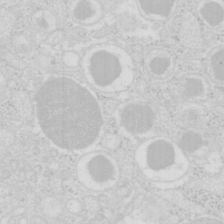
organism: Mouse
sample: Pancreas